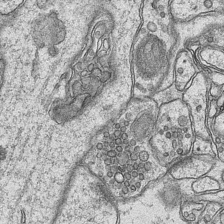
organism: Mouse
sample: CA1 Hippocampus